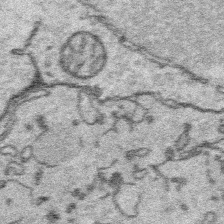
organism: Platynereis dumerilii